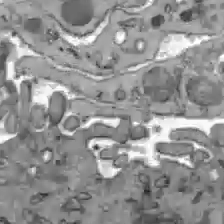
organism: C57BL Mouse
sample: Liver